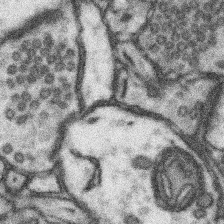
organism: Mouse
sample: Somatosensory cortex neuropil